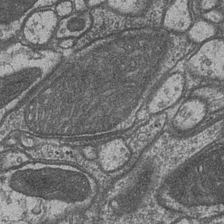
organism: Drosophila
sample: Optic medulla